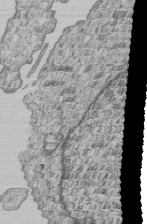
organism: Human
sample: MDA-MB-231 cells